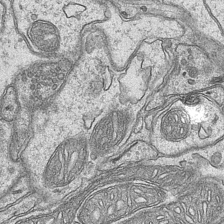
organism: Mouse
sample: CA1 Hippocampus